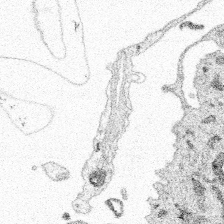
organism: Spongilla lacustris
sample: Multiple